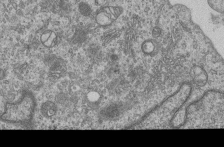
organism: Human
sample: MDA-MB-231 cells